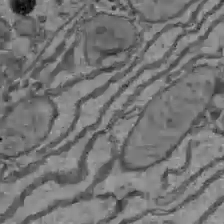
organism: C57BL Mouse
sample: Liver